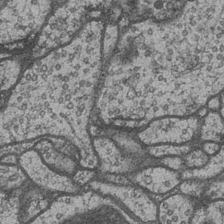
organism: Drosophila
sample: Optic medulla